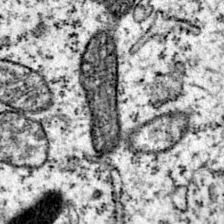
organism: Mouse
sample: Primary visual cortex